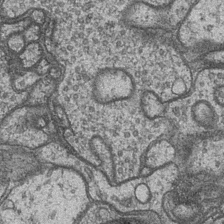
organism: Drosophila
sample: Optic medulla